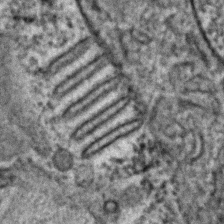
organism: C. elegans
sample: C. elegans embryo